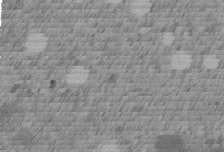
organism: C. elegans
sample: C. elegans embryo early stage